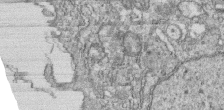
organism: Human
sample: HeLa cell HIV synapse